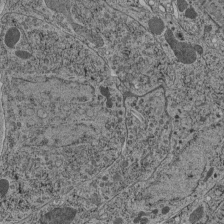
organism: C. elegans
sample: C. elegans pharynx